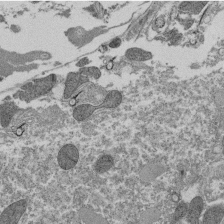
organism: Tetrahymena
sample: Cilia in tetrahymena